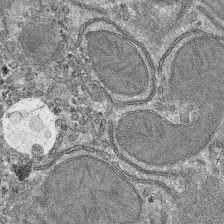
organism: Mouse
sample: Mouse hepatocytes